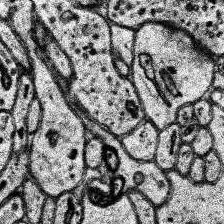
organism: Human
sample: Temporal Lobe